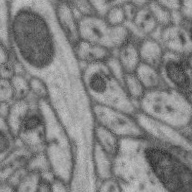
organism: Zebra finch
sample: Brain